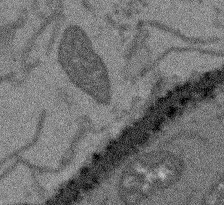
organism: Arabidopsis thaliana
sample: Root tip